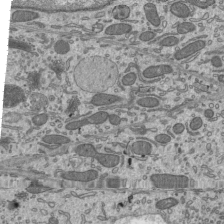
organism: Mouse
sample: Mouse epididymis efferent ductule cilia